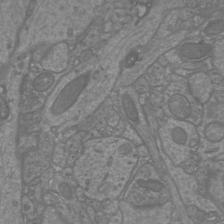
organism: Mouse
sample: Cortical neurons